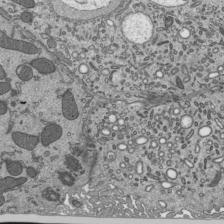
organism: Mouse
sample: Mouse epididymis efferent ductule cilia